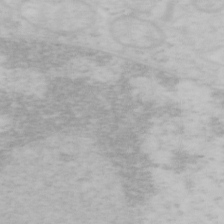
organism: Mouse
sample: OT-I killer T cells with ID8 ovarian cancer cells